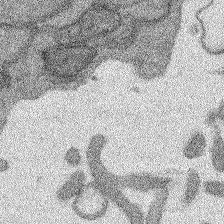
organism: Human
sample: HeLa cells